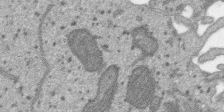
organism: Human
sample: Lung epithelial cells infected with SARS-CoV-2